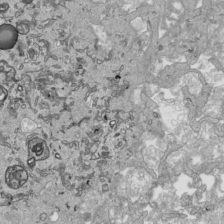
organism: Human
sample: Mitochondria in HCT116 cells